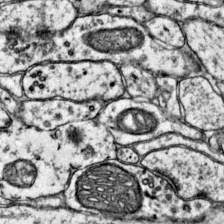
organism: Mouse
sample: Primary visual cortex